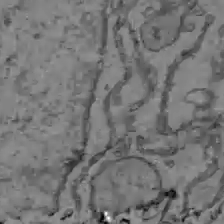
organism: C57BL Mouse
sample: Liver